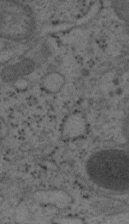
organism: Human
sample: HeLa cells